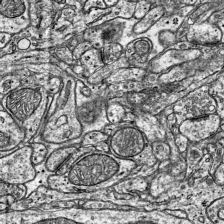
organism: Mouse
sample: Visual Cortex